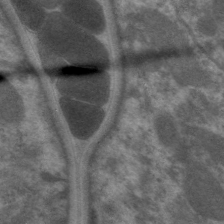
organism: C. elegans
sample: Pharynx